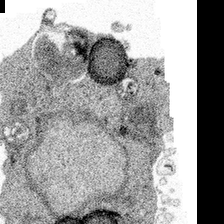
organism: Spongilla lacustris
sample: Multiple